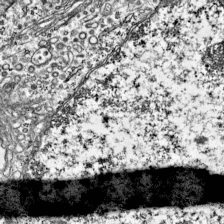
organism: Mouse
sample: Visual Cortex